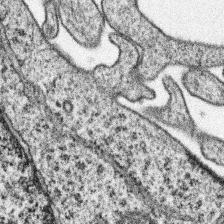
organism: Human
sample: HeLa cells